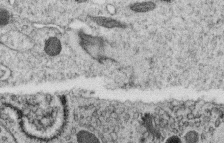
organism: C. elegans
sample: C. elegans oocyte; sperm cells